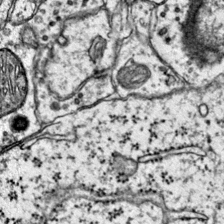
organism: Mouse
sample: Primary visual cortex